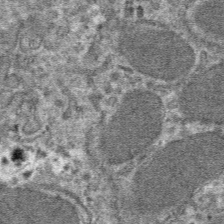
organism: Mouse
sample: Mouse hepatocytes